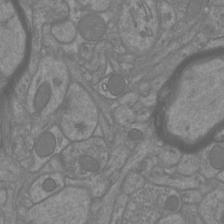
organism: Mouse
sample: Cortical neurons